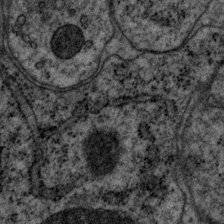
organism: P. pacificus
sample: Pharynx